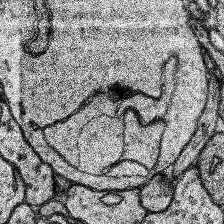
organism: Human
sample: Temporal Lobe